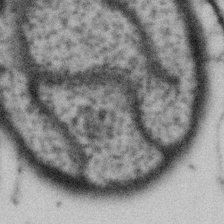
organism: Gemmata obscuriglobus